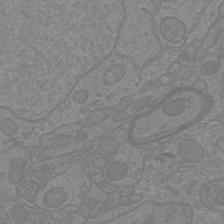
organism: Mouse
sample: Cortical neurons